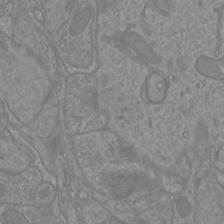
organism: Mouse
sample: Cortical neurons